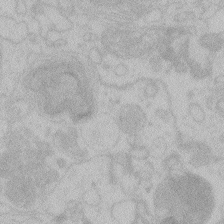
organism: Zebrafish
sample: Macrophage infected with Toxoplasma gondii